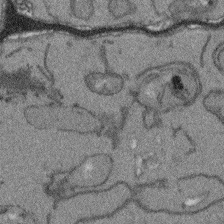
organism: Arabidopsis thaliana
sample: Root tip